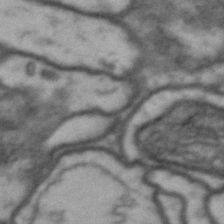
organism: Drosophila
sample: Brain